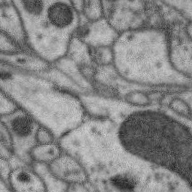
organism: Zebra finch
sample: Brain